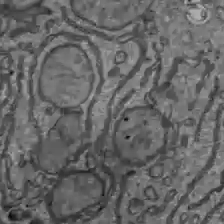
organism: C57BL Mouse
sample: Liver